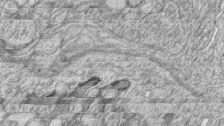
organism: Zebrafish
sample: synaptic ribbons in rod cells and cone cells